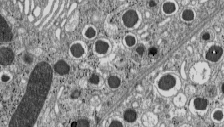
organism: C57BL Mouse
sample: Pancreatic islet